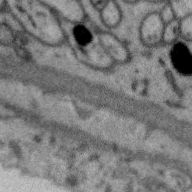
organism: Zebra finch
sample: Brain